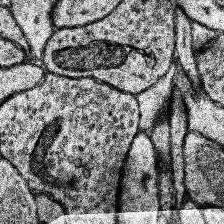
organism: Human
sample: Temporal Lobe